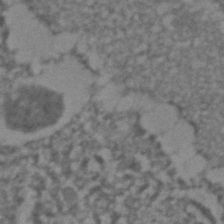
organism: C. elegans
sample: C. elegans embryo